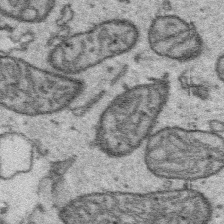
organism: Platynereis dumerilii